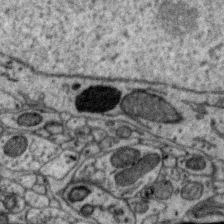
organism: Zebra finch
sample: Brain